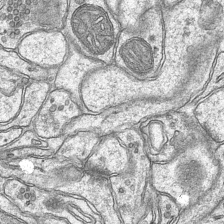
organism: Mouse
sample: CA1 Hippocampus